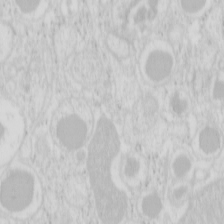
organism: Mouse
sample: Pancreas